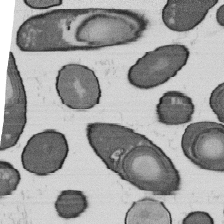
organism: B. subtilis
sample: Bacterial spore